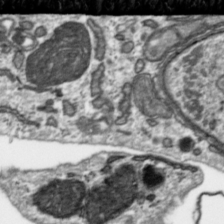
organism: Toxoplasma gondii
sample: Parasites in a vacuole inside a host cell